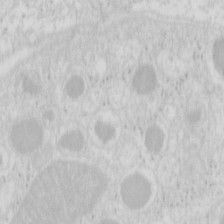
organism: Mouse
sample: Pancreas